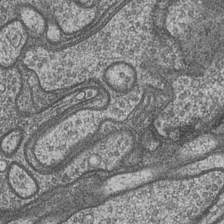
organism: Drosophila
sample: Optic medulla